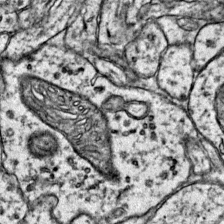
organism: Mouse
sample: Primary visual cortex